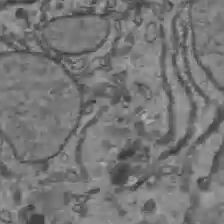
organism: C57BL Mouse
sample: Liver